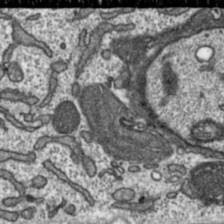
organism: Toxoplasma gondii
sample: Parasites in a vacuole inside a host cell